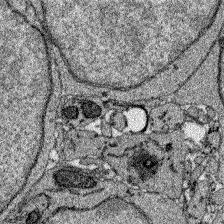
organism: Zebrafish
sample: Larval olfactory bulb